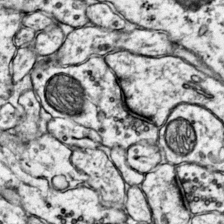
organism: Mouse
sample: Primary visual cortex